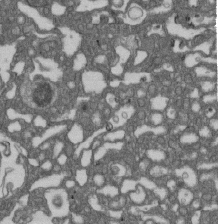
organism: Drosophila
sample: Nephrocyte